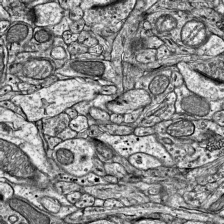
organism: Mouse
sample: Visual Cortex